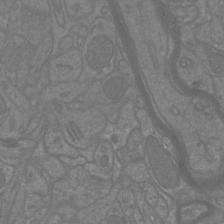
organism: Mouse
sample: Cortical neurons